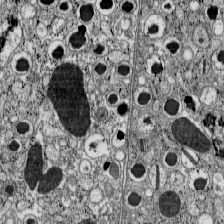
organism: C57BL Mouse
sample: Pancreatic islet